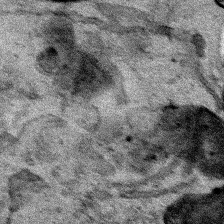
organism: Human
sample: Mitochondria in HCT116 cells